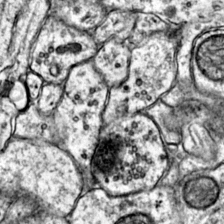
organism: Mouse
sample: Primary visual cortex